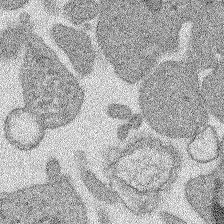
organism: Human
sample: HeLa cells